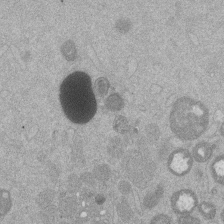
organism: Mouse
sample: Dividing mouse embryo 1 cell stage